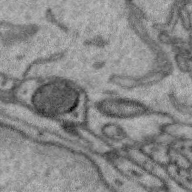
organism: Zebra finch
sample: Brain